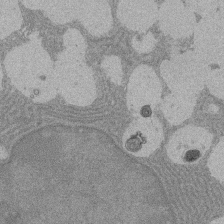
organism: Rat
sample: Salivary granule